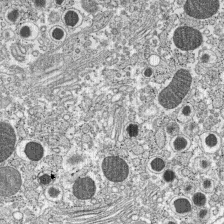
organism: C57BL Mouse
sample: Pancreatic islet